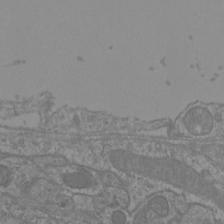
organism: Mouse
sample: Cortical neurons